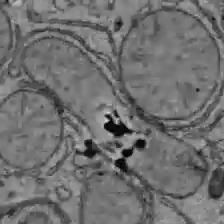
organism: C57BL Mouse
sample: Liver